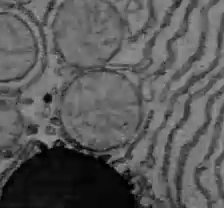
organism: C57BL Mouse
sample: Liver